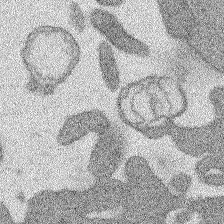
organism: Human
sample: HeLa cells